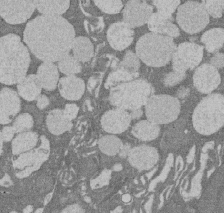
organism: Rat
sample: Salivary granule